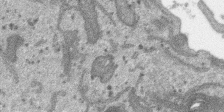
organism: Human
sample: Lung epithelial cells infected with SARS-CoV-2